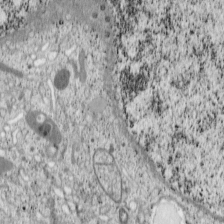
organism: African green monkey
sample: COS-7 cells